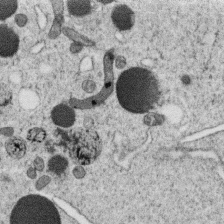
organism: C. elegans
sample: C. elegans oocyte; sperm cells